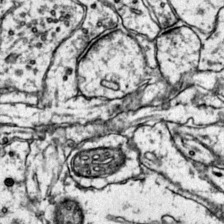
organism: Mouse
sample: Primary visual cortex